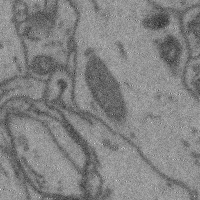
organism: Mouse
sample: Cerebral cortex